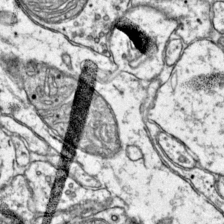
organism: Mouse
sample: Primary visual cortex